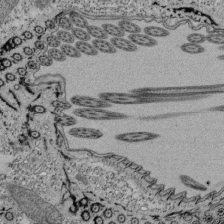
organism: Tetrahymena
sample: Cilia in tetrahymena